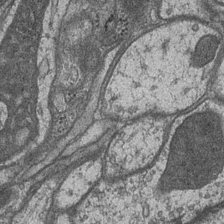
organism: Drosophila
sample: Optic medulla